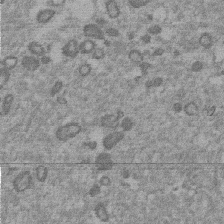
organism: Mouse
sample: Dividing mouse embryo 1 cell stage